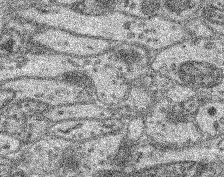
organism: Mouse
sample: Retina